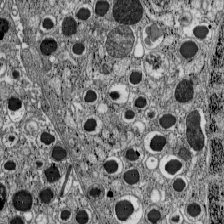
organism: C57BL Mouse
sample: Pancreatic islet